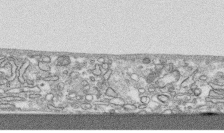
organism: Human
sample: CRL-1474